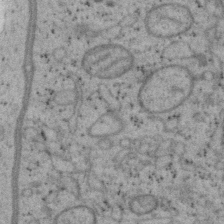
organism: Human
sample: HeLa cells